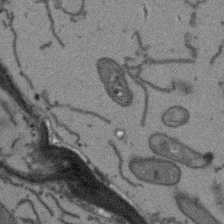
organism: Arabidopsis thaliana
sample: Root tip